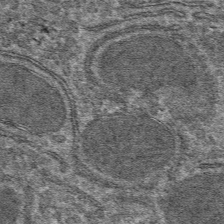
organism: Mouse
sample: Mouse hepatocytes